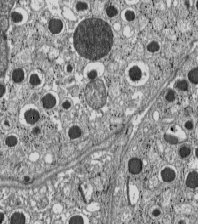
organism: C57BL Mouse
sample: Pancreatic islet